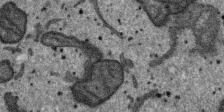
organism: Human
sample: Lung epithelial cells, uninfected (mock) control